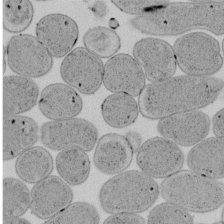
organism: E. coli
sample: Bacterial nucleoid